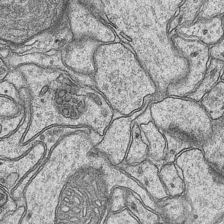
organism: Mouse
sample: CA1 Hippocampus